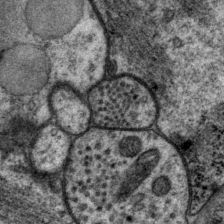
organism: P. pacificus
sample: Pharynx